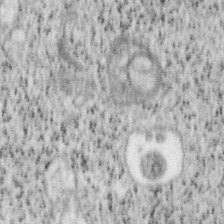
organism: Mouse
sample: OT-I killer T cells with ID8 ovarian cancer cells